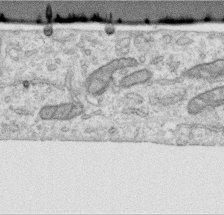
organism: Human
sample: Centriole in RPE cells